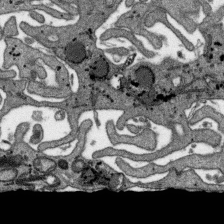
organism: Human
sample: Lung epithelial cells, uninfected (mock) control